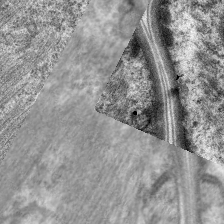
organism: C. elegans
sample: Pharynx